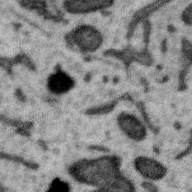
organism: Zebra finch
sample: Brain